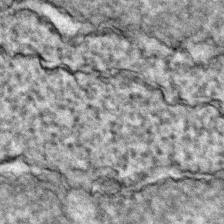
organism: Zebrafish